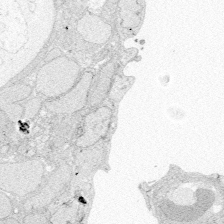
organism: Zebrafish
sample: Whole-Brain